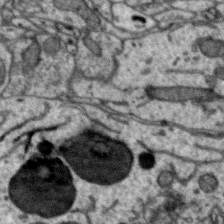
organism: Zebra finch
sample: Brain